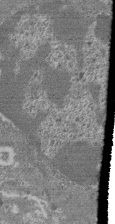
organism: Mouse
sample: Glomerulus